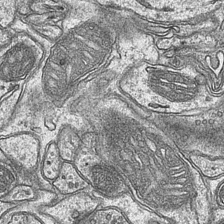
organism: Mouse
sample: CA1 Hippocampus